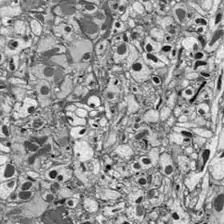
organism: Drosophila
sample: Optic lobe